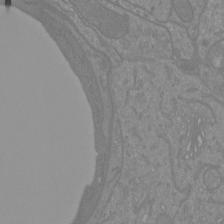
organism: Mouse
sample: Cortical neurons